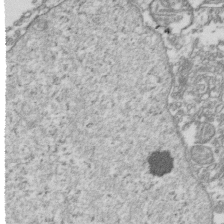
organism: Human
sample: Activated Jurkat CD4+ T cells